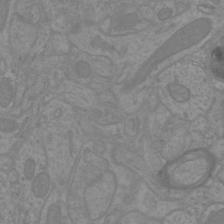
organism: Mouse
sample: Cortical neurons